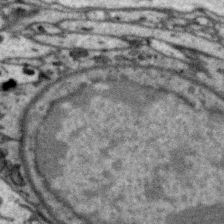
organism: Zebra finch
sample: Brain